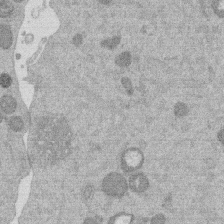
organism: Mouse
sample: Dividing mouse embryo 1 cell stage